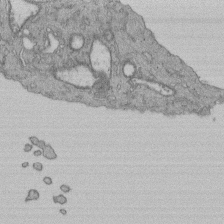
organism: Human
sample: Retinal organoid Rod and Cone cells